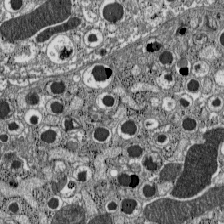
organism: C57BL Mouse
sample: Pancreatic islet